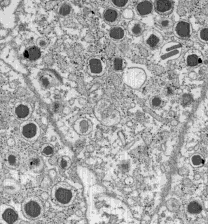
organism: C57BL Mouse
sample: Pancreatic islet